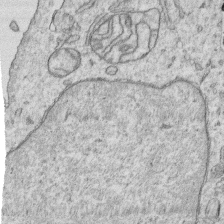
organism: Human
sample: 1205lu cells